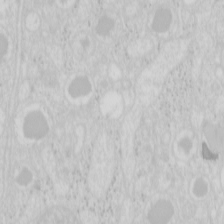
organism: Mouse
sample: Pancreas